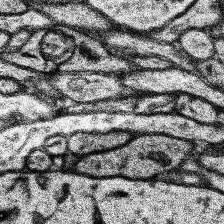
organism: Human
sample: Temporal Lobe